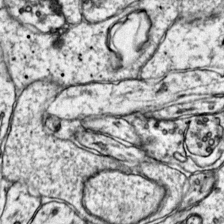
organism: Mouse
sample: Primary visual cortex